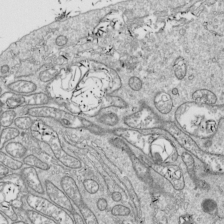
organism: Drosophila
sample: Cell division; meiosis; drosophila spermatocytes